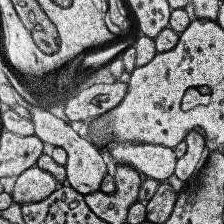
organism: Human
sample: Temporal Lobe